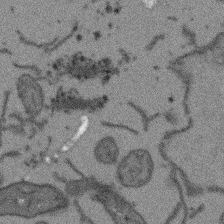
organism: Arabidopsis thaliana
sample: Root tip